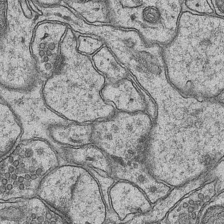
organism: Mouse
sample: CA1 Hippocampus